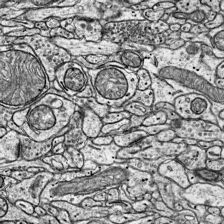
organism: Mouse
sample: Visual Cortex